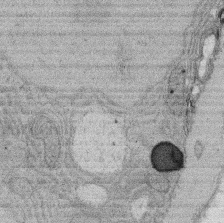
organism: Rat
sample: Salivary granule